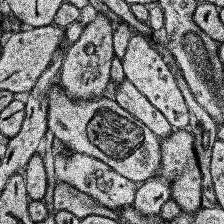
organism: Human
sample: Temporal Lobe